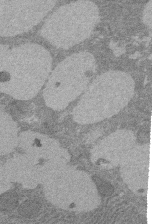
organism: Rat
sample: Salivary granule